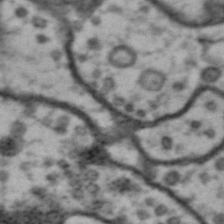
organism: Drosophila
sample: Brain